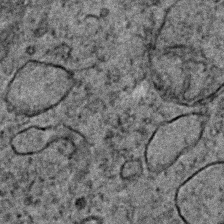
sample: Trachea